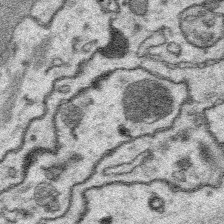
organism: Platynereis dumerilii